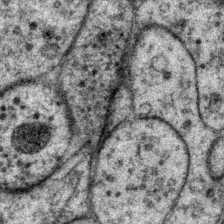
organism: P. pacificus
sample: Pharynx